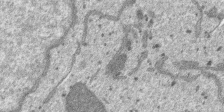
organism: Human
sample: Lung epithelial cells infected with SARS-CoV-2